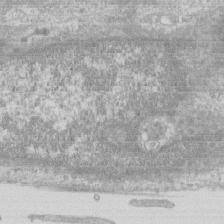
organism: Human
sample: CRL-1474